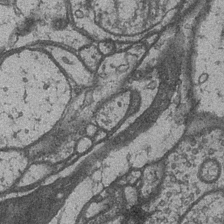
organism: Drosophila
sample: Optic medulla